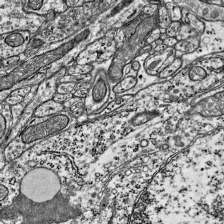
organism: Mouse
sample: Visual Cortex